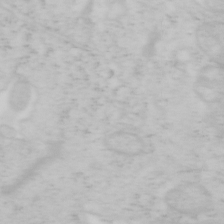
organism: Mouse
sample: OT-I killer T cells with ID8 ovarian cancer cells